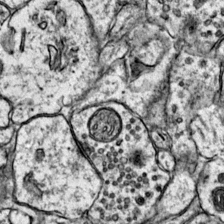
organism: Mouse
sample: Primary visual cortex